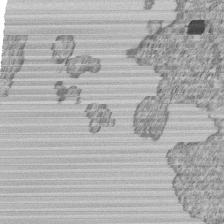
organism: Human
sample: MDA-MB-231 cells